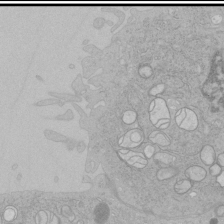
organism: Human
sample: Mitochondria in HCT116 cells